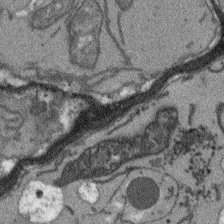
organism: Arabidopsis thaliana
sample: Root tip